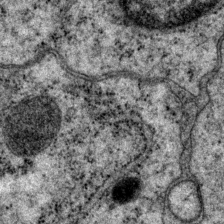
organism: P. pacificus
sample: Pharynx